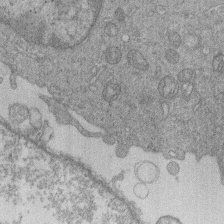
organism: Human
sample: Macrophage cells